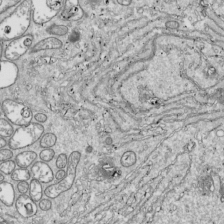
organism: Drosophila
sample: Cell division; meiosis; drosophila spermatocytes